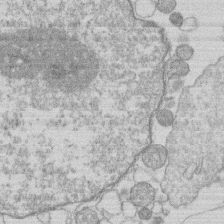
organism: Human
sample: Macrophage cells